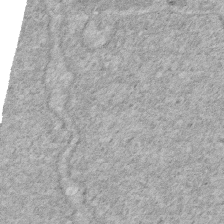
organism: Human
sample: HIV infected U937 cells